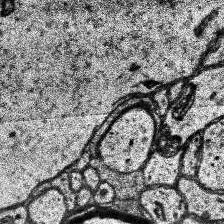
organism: Human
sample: Temporal Lobe